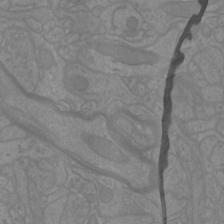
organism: Mouse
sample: Cortical neurons